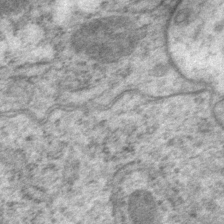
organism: P. pacificus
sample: Pharynx